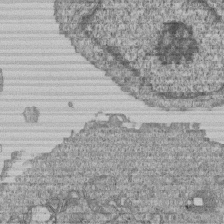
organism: Human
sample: MDA-MB-231 cells